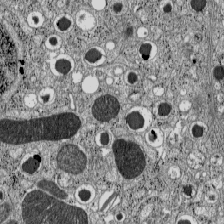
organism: C57BL Mouse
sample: Pancreatic islet